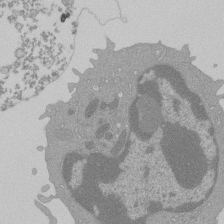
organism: Mouse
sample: Activated Pmel transgenic CD8+ T Cells